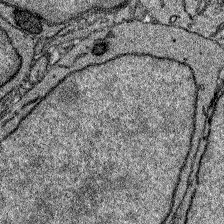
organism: Zebrafish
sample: Larval olfactory bulb